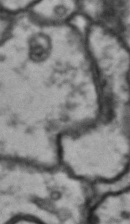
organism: Drosophila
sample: Brain